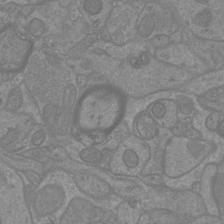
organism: Mouse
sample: Cortical neurons